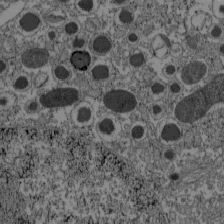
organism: C57BL Mouse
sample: Pancreatic islet